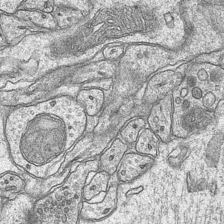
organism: Mouse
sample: CA1 Hippocampus